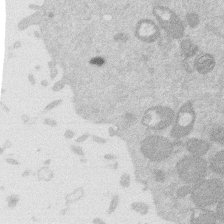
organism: Mouse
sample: Dividing mouse embryo 1 cell stage